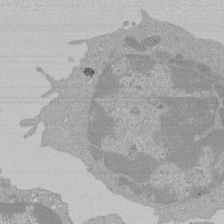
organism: Mouse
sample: Activated Pmel transgenic CD8+ T Cells